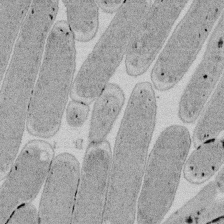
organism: E. coli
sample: Bacterial nucleoid